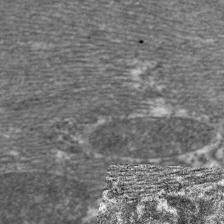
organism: C. elegans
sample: Pharynx